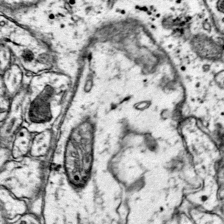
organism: Mouse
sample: Primary visual cortex